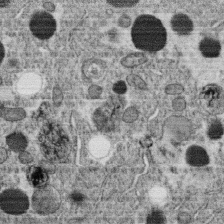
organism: C. elegans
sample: C. elegans oocyte; sperm cells